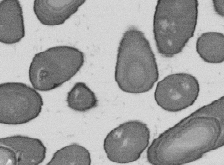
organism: B. subtilis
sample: Bacterial spore